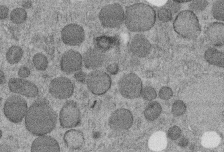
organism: C. elegans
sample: C. elegans embryo early stage